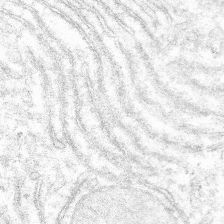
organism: Mouse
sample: Mouse hepatocytes